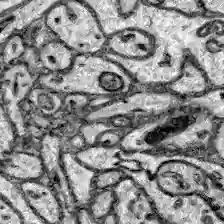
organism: Zebrafish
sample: Brain